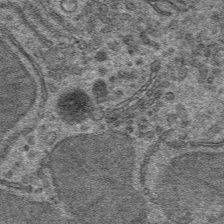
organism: Mouse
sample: Mouse hepatocytes